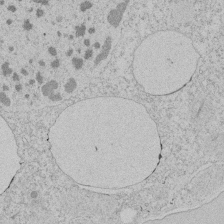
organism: Tetrahymena